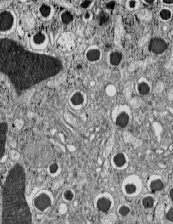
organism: C57BL Mouse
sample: Pancreatic islet